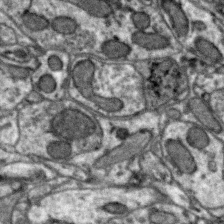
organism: Zebra finch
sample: Brain